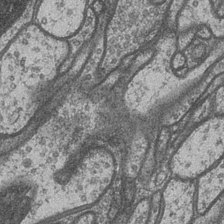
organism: Drosophila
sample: Optic medulla